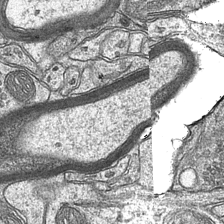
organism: Mouse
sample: CA1 Hippocampus